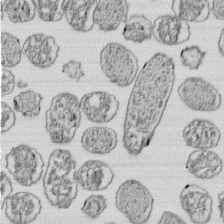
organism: E. coli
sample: Bacterial nucleoid